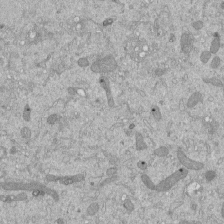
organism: Mouse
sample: ED-1 cell nuclei; centrioles